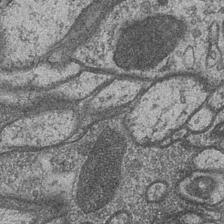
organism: Drosophila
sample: Optic medulla